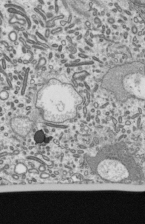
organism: Mouse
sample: Mouse epididymis efferent ductule cilia